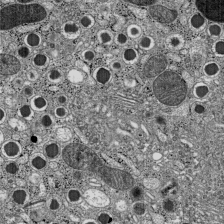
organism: C57BL Mouse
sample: Pancreatic islet